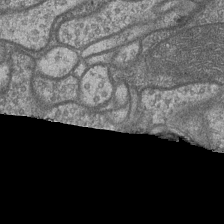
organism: Drosophila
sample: Optic medulla